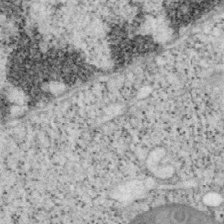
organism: Mouse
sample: OT-I killer T cells with ID8 ovarian cancer cells